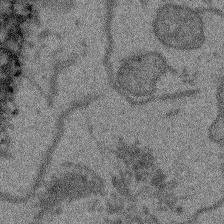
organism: Arabidopsis thaliana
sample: Root tip